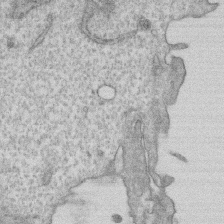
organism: Human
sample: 1205lu cells